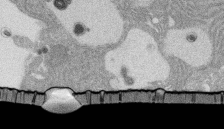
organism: Rat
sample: Salivary granule